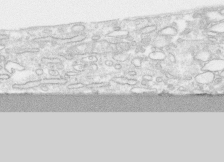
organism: Human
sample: CRL-1474